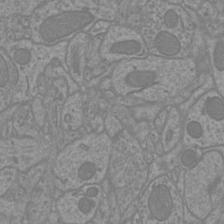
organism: Mouse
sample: Cortical neurons